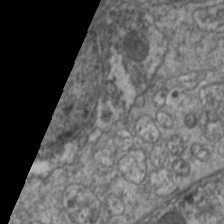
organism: C. elegans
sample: Pharynx